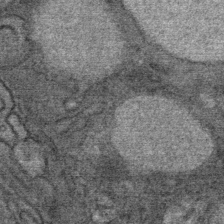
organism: Mouse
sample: Mouse Salivary gland